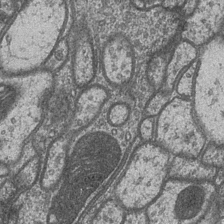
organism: Drosophila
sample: Optic medulla